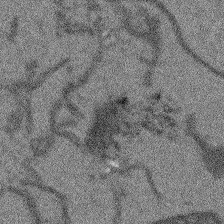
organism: Arabidopsis thaliana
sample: Root tip